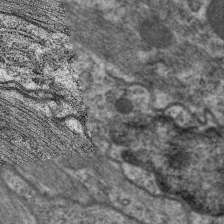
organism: C. elegans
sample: Pharynx